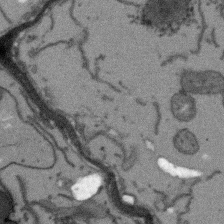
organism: Arabidopsis thaliana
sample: Root tip